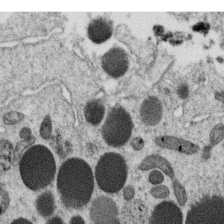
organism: C. elegans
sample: C. elegans oocyte; sperm cells